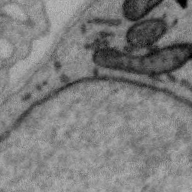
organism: Zebra finch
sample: Brain